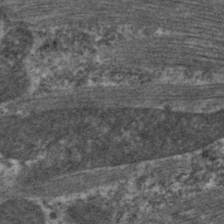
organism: C. elegans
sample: Pharynx